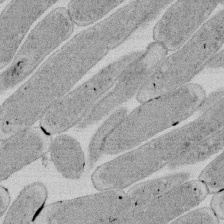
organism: E. coli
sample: Bacterial nucleoid